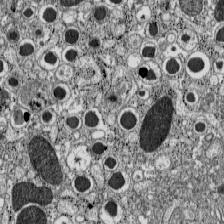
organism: C57BL Mouse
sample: Pancreatic islet